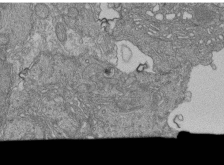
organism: Human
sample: Retinal organoid Rod and Cone cells